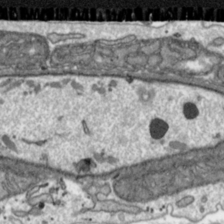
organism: Toxoplasma gondii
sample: Parasites in a vacuole inside a host cell